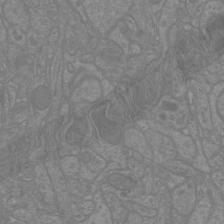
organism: Mouse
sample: Cortical neurons